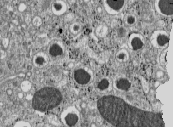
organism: C57BL Mouse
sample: Pancreatic islet